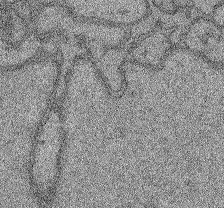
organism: Human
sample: HeLa cells